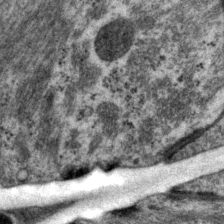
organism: P. pacificus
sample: Pharynx